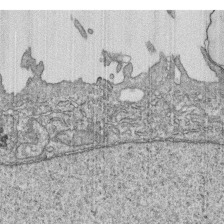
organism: Human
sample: HeLa cell HIV synapse